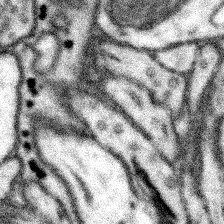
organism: Mouse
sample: Somatosensory cortex neuropil